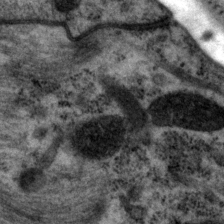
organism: P. pacificus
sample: Pharynx